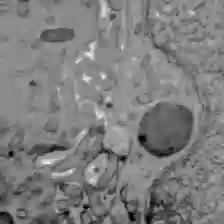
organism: C57BL Mouse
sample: Liver